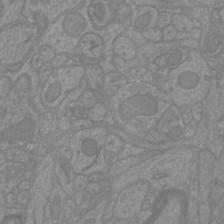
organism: Mouse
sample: Cortical neurons